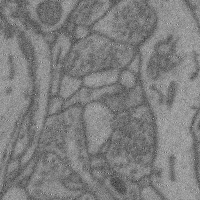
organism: Mouse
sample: Cerebral cortex